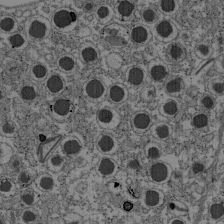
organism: C57BL Mouse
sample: Pancreatic islet